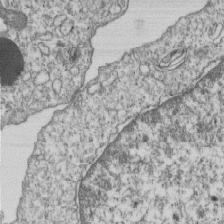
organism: Human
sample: MDA-MB-231 cells